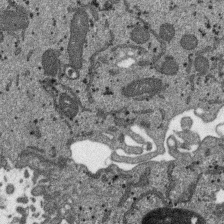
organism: Human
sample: Lung epithelial cells infected with SARS-CoV-2